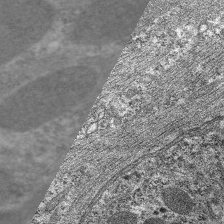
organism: C. elegans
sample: Pharynx